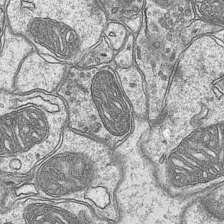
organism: Mouse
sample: CA1 Hippocampus